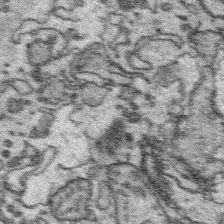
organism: Platynereis dumerilii